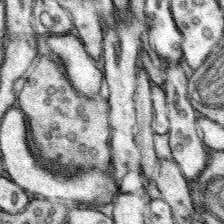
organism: Mouse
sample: Somatosensory cortex neuropil